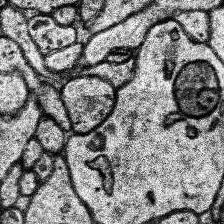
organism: Human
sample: Temporal Lobe